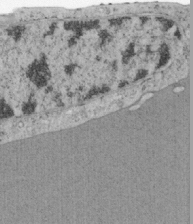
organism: Human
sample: HeLa cells